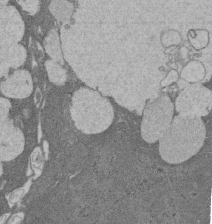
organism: Rat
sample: Salivary granule